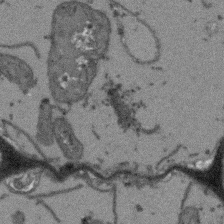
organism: Arabidopsis thaliana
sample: Root tip